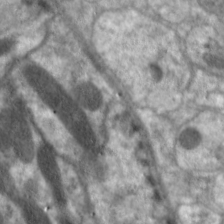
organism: C. elegans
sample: Pharynx